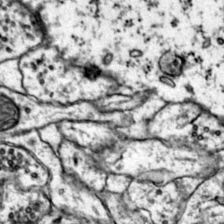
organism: Mouse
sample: Primary visual cortex